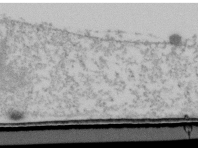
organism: Human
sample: U2-OS cells